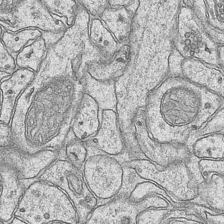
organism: Mouse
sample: CA1 Hippocampus